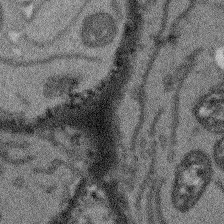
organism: Arabidopsis thaliana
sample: Root tip